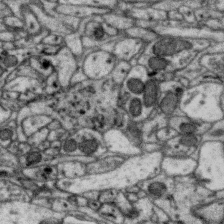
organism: Zebra finch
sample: Brain